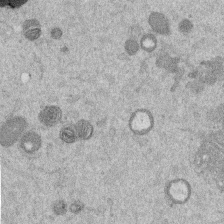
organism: Mouse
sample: Dividing mouse embryo 1 cell stage